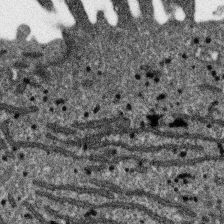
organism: Human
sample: Lung epithelial cells infected with SARS-CoV-2